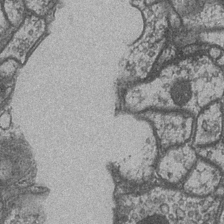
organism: Drosophila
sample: Optic medulla